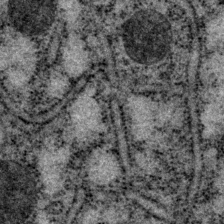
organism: P. pacificus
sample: Pharynx